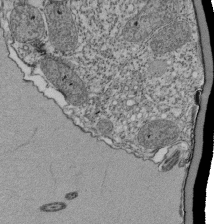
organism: Tetrahymena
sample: Cilia in tetrahymena